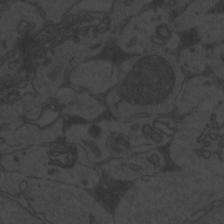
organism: Zebrafish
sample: Macrophage infected with Toxoplasma gondii